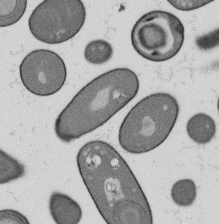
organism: B. subtilis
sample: Bacterial spore